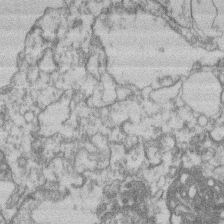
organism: Mouse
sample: T cell stromal cell synapse